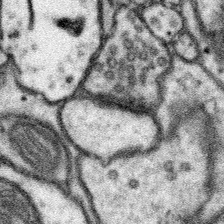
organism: Mouse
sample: Somatosensory cortex neuropil